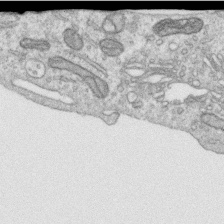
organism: Human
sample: Centriole in RPE cells